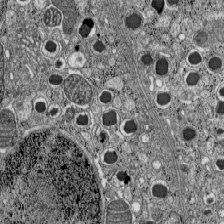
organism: C57BL Mouse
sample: Pancreatic islet